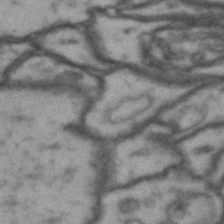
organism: Drosophila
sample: Brain